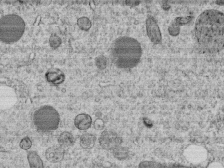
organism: C. elegans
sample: C. elegans embryo early stage